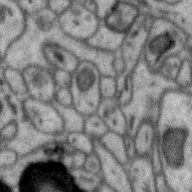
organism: Zebra finch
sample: Brain